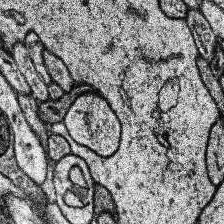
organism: Human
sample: Temporal Lobe